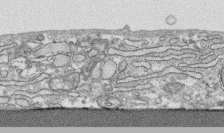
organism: Human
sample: CRL-1474